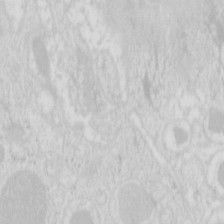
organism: Mouse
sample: Pancreas